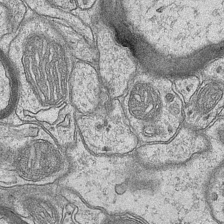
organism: Mouse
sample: CA1 Hippocampus